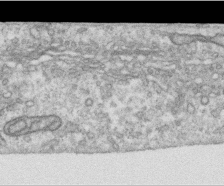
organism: Human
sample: Centriole in RPE cells